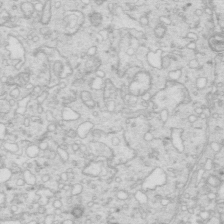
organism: Mouse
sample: Multiciliated cells